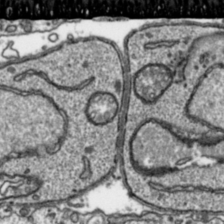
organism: Toxoplasma gondii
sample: Parasites in a vacuole inside a host cell